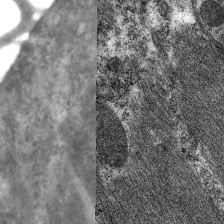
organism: C. elegans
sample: Pharynx